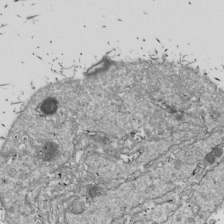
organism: Drosophila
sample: Cell division; meiosis; drosophila spermatocytes